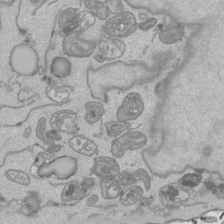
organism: Human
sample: Mitochondria in HCT116 cells